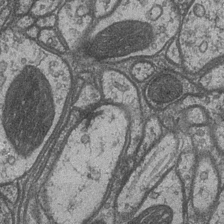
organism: Drosophila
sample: Optic medulla